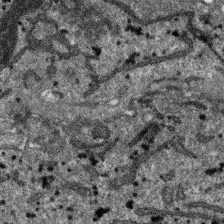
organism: Human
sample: Lung epithelial cells infected with SARS-CoV-2